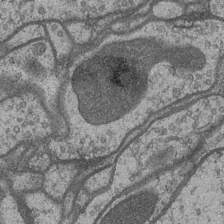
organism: Drosophila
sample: Optic medulla